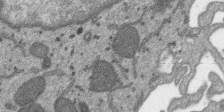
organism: Human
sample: Lung epithelial cells infected with SARS-CoV-2